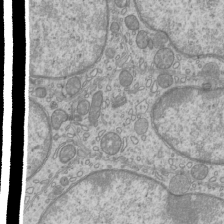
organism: Mouse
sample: Cilia; mouse epididymis